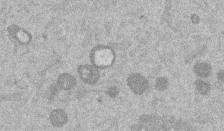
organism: Mouse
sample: Dividing mouse embryo 1 cell stage